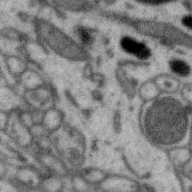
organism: Zebra finch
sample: Brain